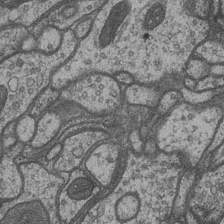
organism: Drosophila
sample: Optic medulla